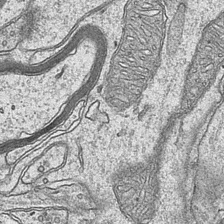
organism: Mouse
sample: CA1 Hippocampus